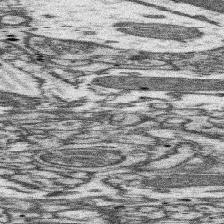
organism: Mouse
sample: Somatosensory cortex neuropil